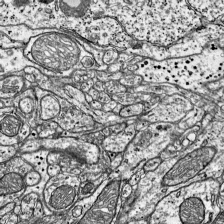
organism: Mouse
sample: Visual Cortex